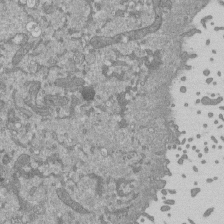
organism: Mouse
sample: ED-1 cell nuclei; centrioles